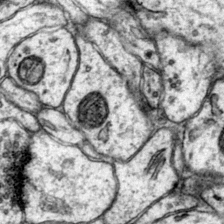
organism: Mouse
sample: Primary visual cortex